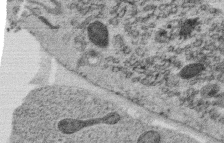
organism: C. elegans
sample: C. elegans oocyte; sperm cells